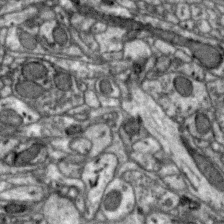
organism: Zebra finch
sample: Brain